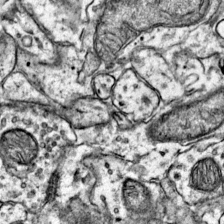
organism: Mouse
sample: Primary visual cortex